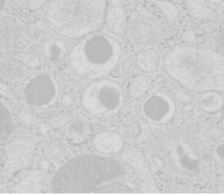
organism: Mouse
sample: Pancreas